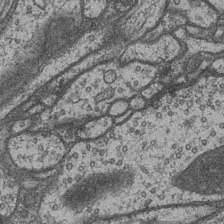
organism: Drosophila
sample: Optic medulla